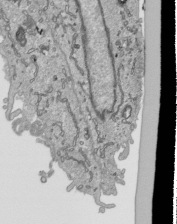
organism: Human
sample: Mitochondria in HCT116 cells